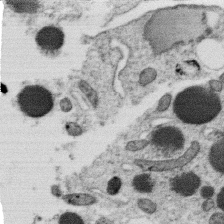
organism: C. elegans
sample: C. elegans oocyte; sperm cells